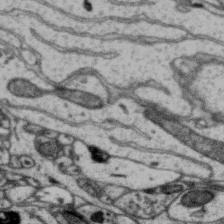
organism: Zebra finch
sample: Brain